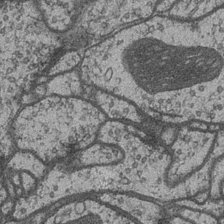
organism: Drosophila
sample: Optic medulla